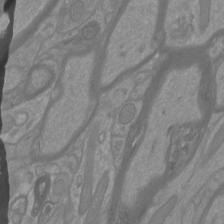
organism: Mouse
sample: Cortical neurons